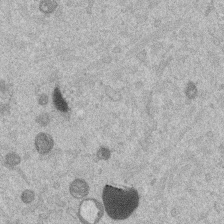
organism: Mouse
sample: Dividing mouse embryo 1 cell stage